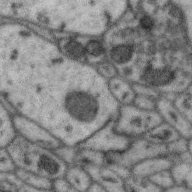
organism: Zebra finch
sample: Brain